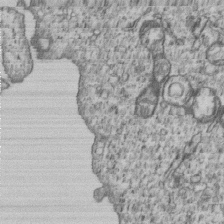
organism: Human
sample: MDA-MB-231 cells